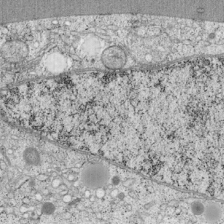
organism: African green monkey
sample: COS-7 cells